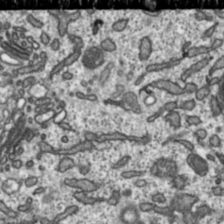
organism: Toxoplasma gondii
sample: Parasites in a vacuole inside a host cell